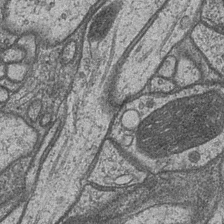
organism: Drosophila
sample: Optic medulla